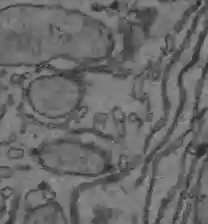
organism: C57BL Mouse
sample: Liver